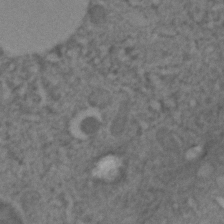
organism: C. elegans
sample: C. elegans embryo